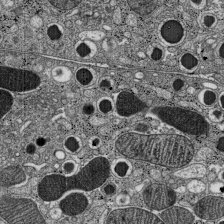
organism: C57BL Mouse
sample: Pancreatic islet